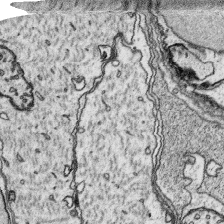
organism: Platynereis dumerilii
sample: Parapodia